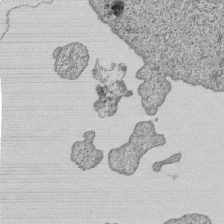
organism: Human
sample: MDA-MB-231 cells